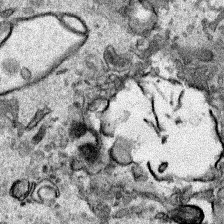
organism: Human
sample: Mitochondria in HCT116 cells